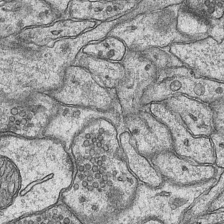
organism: Mouse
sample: CA1 Hippocampus